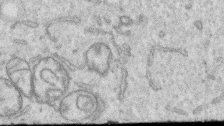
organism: Human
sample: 1205lu cells